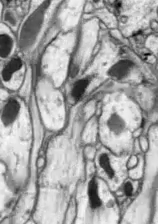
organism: Drosophila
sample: Optic lobe